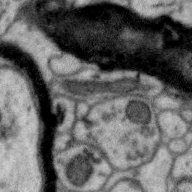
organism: Zebra finch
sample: Brain